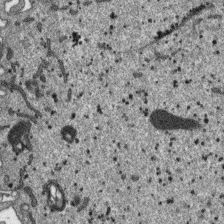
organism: Human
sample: Lung epithelial cells infected with SARS-CoV-2